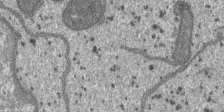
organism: Human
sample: Lung epithelial cells infected with SARS-CoV-2